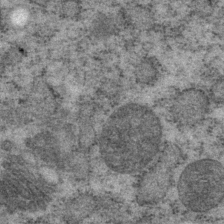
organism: P. pacificus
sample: Pharynx